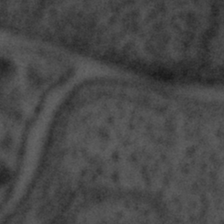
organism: Tuwongella immobilis